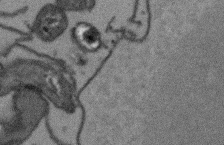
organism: Arabidopsis thaliana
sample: Root tip